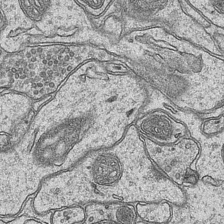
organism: Mouse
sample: CA1 Hippocampus